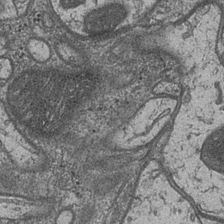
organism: Drosophila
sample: Optic medulla